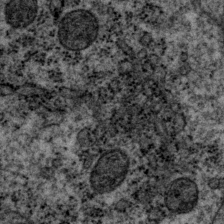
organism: P. pacificus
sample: Pharynx